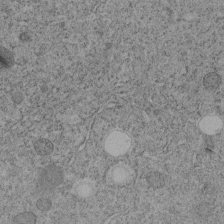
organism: C. elegans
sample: C. elegans embryo early stage